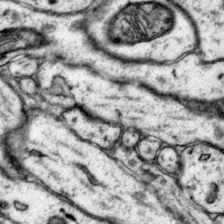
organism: Mouse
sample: Primary visual cortex